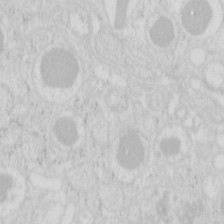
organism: Mouse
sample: Pancreas